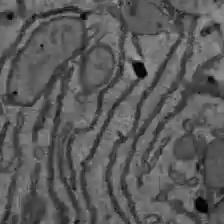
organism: C57BL Mouse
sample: Liver